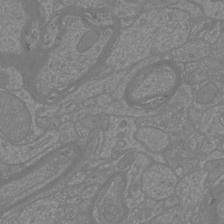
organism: Mouse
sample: Cortical neurons